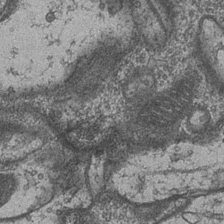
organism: Drosophila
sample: Optic medulla